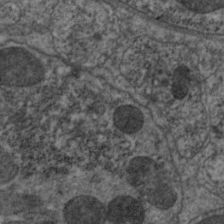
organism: C. elegans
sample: Pharynx